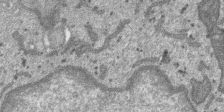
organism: Human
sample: Lung epithelial cells infected with SARS-CoV-2